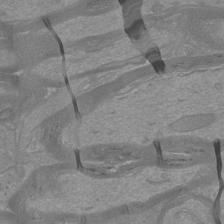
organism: Mouse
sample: Cortical neurons